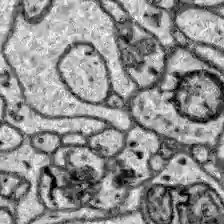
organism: Zebrafish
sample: Brain